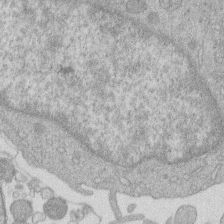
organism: Human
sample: Macrophage cells